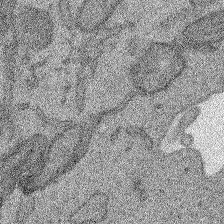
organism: Human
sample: HeLa cells